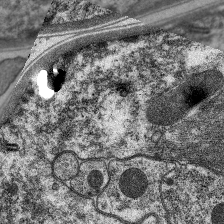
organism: C. elegans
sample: Pharynx